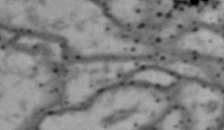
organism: Drosophila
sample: Brain